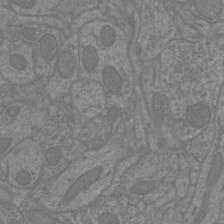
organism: Mouse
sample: Cortical neurons